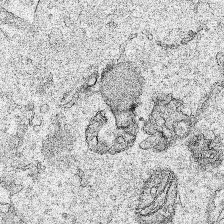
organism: Human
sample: Mitochondria in HCT116 cells